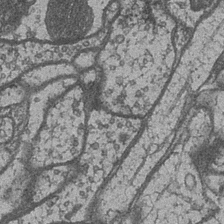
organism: Drosophila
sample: Optic medulla